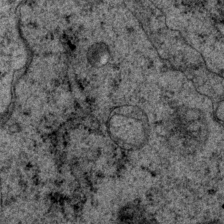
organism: P. pacificus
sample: Pharynx